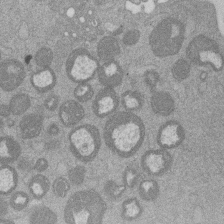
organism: Mouse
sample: Dividing mouse embryo 1 cell stage